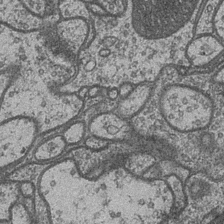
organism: Drosophila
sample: Optic medulla